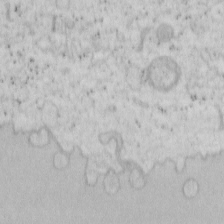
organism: Human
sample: HeLa cells